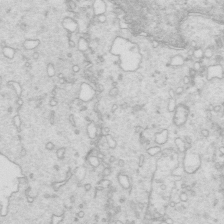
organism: Mouse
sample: Multiciliated cells